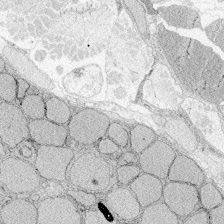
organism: Zebrafish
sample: Whole-Brain